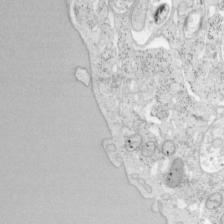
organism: Mouse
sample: OT-I killer T cells with ID8 ovarian cancer cells